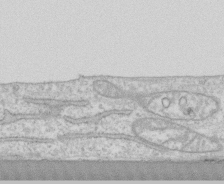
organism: Human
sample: CRL-1474